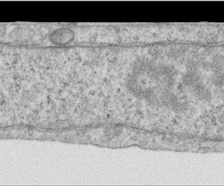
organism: Human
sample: Centriole in RPE cells